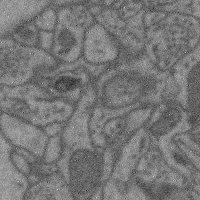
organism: Mouse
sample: Cerebral cortex